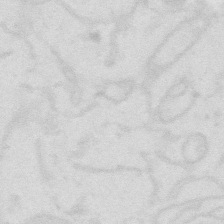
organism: Human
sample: HeLa cells